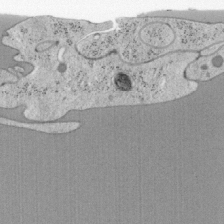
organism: Human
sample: HeLa cells